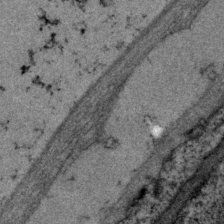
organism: P. pacificus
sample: Pharynx